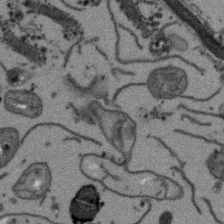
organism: Arabidopsis thaliana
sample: Root tip